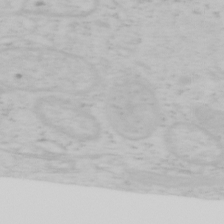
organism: Mouse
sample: OT-I killer T cells with ID8 ovarian cancer cells